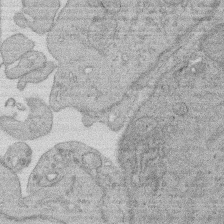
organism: Rat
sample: Salivary granule